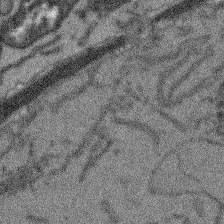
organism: Arabidopsis thaliana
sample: Root tip